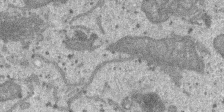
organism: Human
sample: Lung epithelial cells infected with SARS-CoV-2